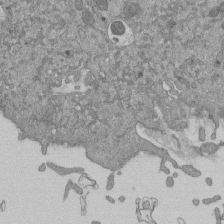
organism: Mouse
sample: ED-1 cell nuclei; centrioles